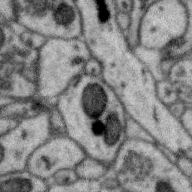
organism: Zebra finch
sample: Brain